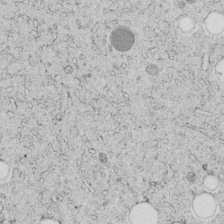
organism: C. elegans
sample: C. elegans embryo early stage